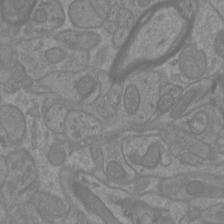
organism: Mouse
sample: Cortical neurons